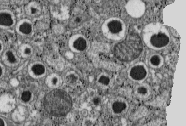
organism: C57BL Mouse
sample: Pancreatic islet